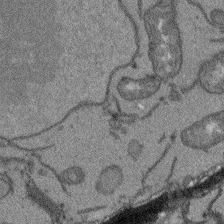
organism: Arabidopsis thaliana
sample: Root tip